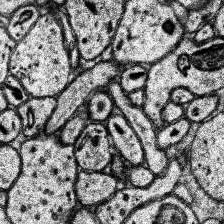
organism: Human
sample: Temporal Lobe